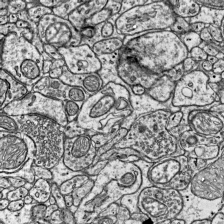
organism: Mouse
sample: Visual Cortex